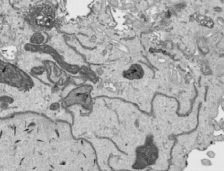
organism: Human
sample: Mitochondria in HCT116 cells